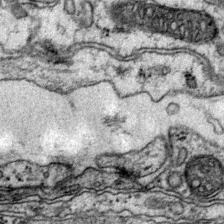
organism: Mouse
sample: Primary visual cortex